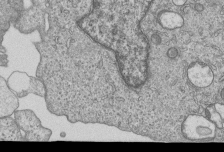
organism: Human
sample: MDA-MB-231 cells